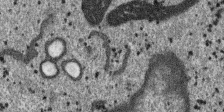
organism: Human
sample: Lung epithelial cells infected with SARS-CoV-2